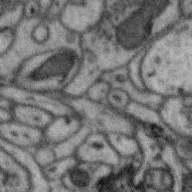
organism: Zebra finch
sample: Brain